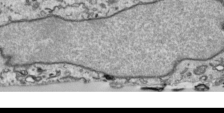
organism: Human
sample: Mitochondria in HCT116 cells